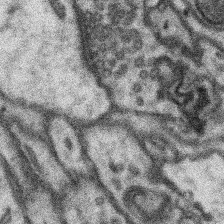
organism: Mouse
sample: Somatosensory cortex neuropil